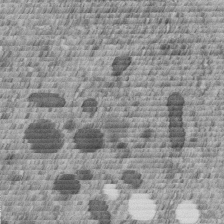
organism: C. elegans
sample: C. elegans embryo early stage